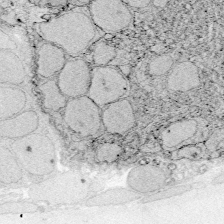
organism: Zebrafish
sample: Whole-Brain